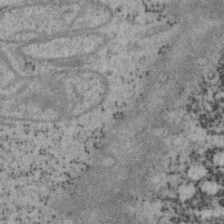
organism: Human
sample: HeLa cells